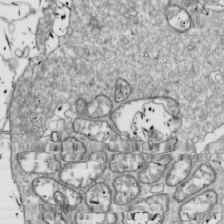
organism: Drosophila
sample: Cell division; meiosis; drosophila spermatocytes